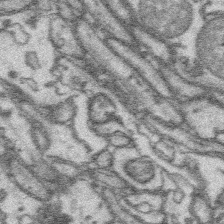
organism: Platynereis dumerilii